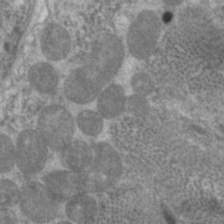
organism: C. elegans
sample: Pharynx